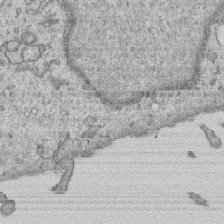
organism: Human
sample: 1205lu cells